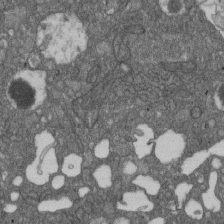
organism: Drosophila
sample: Nephrocyte